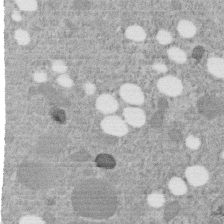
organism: C. elegans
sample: C. elegans embryo early stage